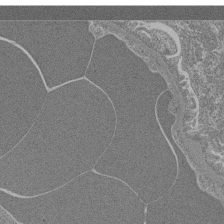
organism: Mouse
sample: Glomerulus